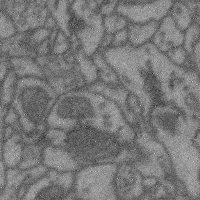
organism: Mouse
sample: Cerebral cortex